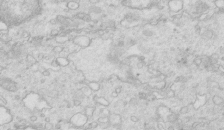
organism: Mouse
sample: Multiciliated cells